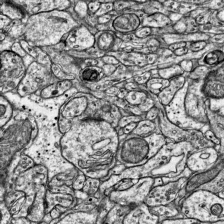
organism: Mouse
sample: Visual Cortex